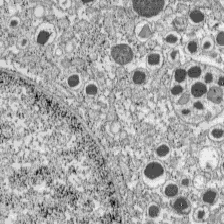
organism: C57BL Mouse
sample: Pancreatic islet